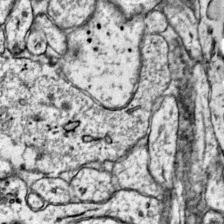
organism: Mouse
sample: Primary visual cortex